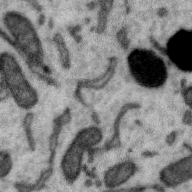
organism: Zebra finch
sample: Brain